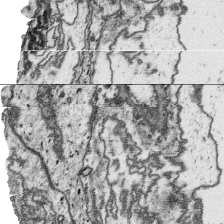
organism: Platynereis dumerilii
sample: Parapodia